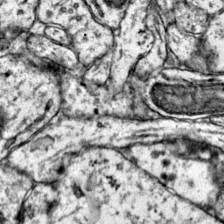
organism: Mouse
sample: Primary visual cortex